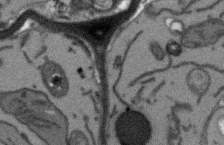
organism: Arabidopsis thaliana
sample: Root tip